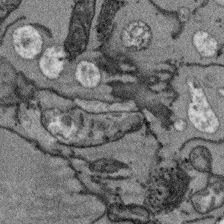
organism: Arabidopsis thaliana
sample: Root tip